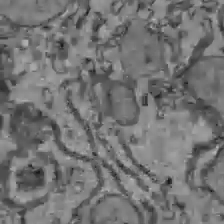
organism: C57BL Mouse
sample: Liver